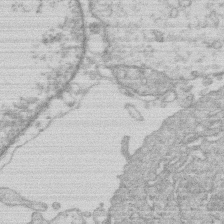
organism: Human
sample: Macrophage cells